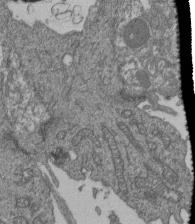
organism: Human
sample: Retinal organoid Rod and Cone cells